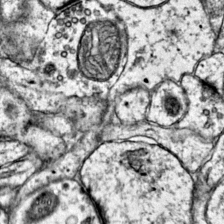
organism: Mouse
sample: Primary visual cortex